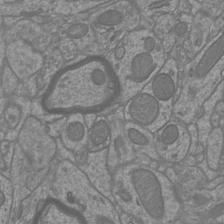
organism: Mouse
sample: Cortical neurons